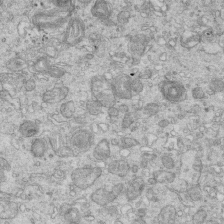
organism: Mouse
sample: Multiciliated cells